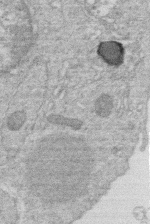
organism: Human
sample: Macrophage cells